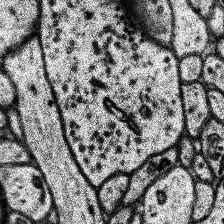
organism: Human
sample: Temporal Lobe